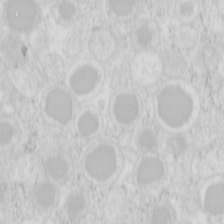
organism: Mouse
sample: Pancreas